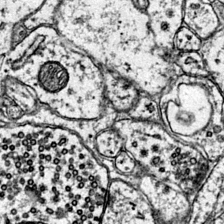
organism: Mouse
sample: Primary visual cortex